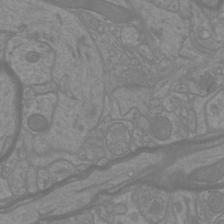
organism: Mouse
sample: Cortical neurons